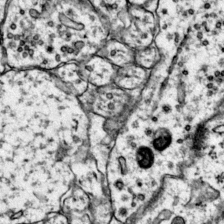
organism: Mouse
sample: Primary visual cortex